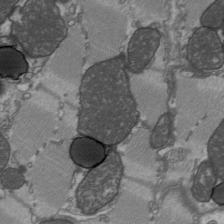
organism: C57BL Mouse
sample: Heart